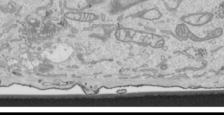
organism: Human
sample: Mitochondria in HCT116 cells